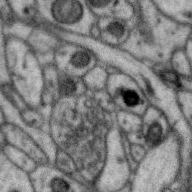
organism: Zebra finch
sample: Brain